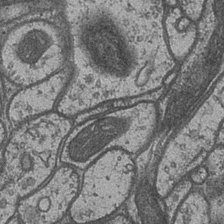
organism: Drosophila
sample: Optic medulla